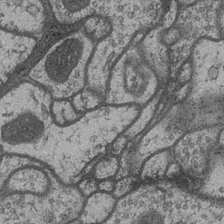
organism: Drosophila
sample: Optic medulla